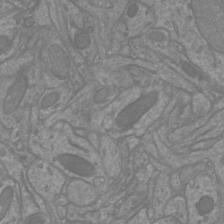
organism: Mouse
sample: Cortical neurons